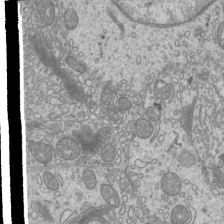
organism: Mouse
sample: Cilia; mouse epididymis